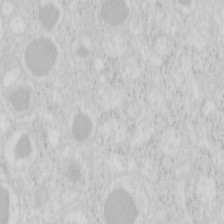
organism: Mouse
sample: Pancreas